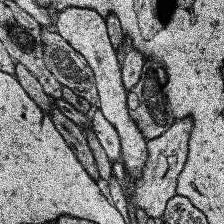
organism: Human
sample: Temporal Lobe